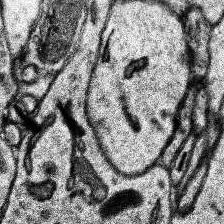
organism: Human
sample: Temporal Lobe